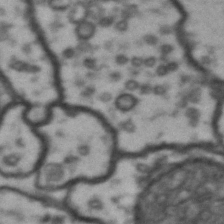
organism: Drosophila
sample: Brain